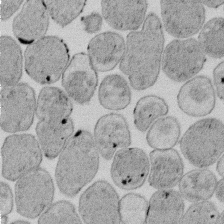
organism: E. coli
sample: Bacterial nucleoid